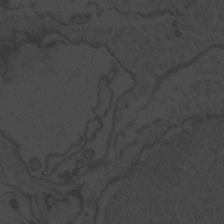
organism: Zebrafish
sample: Macrophage infected with Toxoplasma gondii